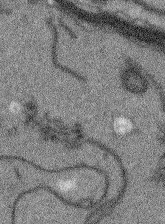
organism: Arabidopsis thaliana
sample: Root tip